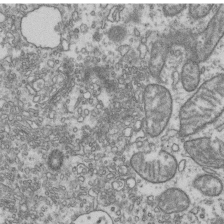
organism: Human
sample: Activated Jurkat CD4+ T cells